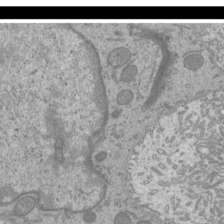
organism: Mouse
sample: Cilia; mouse epididymis